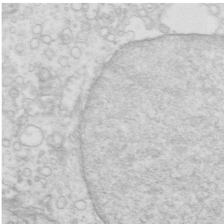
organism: Mouse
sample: Multiciliated cells